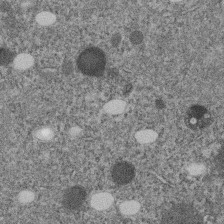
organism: C. elegans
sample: C. elegans embryo early stage